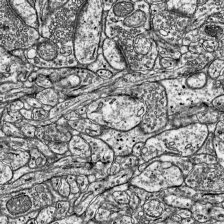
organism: Mouse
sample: Visual Cortex